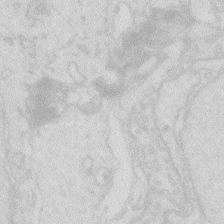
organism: Zebrafish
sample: Macrophage